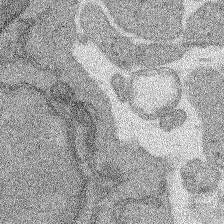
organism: Human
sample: HeLa cells